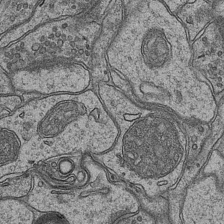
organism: Mouse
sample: CA1 Hippocampus